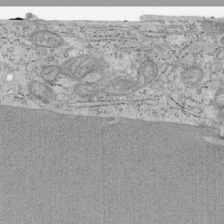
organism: Human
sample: HeLa cells